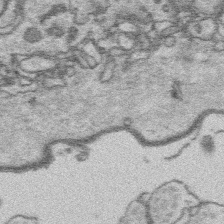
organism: Platynereis dumerilii